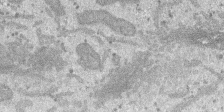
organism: Human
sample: Lung epithelial cells infected with SARS-CoV-2